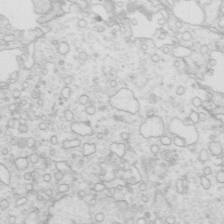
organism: Mouse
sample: Multiciliated cells